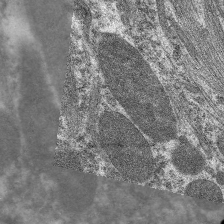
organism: C. elegans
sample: Pharynx